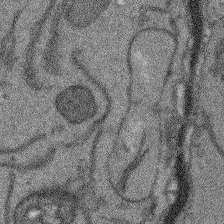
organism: Arabidopsis thaliana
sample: Root tip